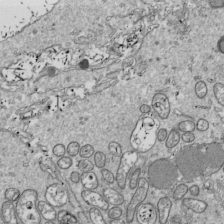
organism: Drosophila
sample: Cell division; meiosis; drosophila spermatocytes